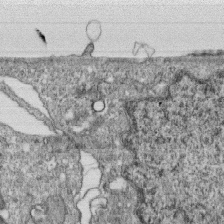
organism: African green monkey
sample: Vero E6 cells infected with SARS-CoV-2